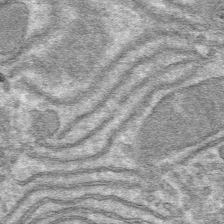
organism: Mouse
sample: Mouse hepatocytes